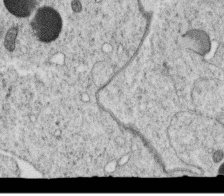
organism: C. elegans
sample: C. elegans oocyte; sperm cells